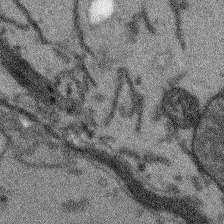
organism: Arabidopsis thaliana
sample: Root tip